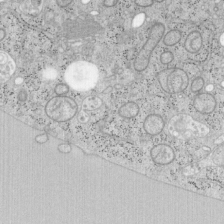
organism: Mouse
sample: OT-I killer T cells with ID8 ovarian cancer cells